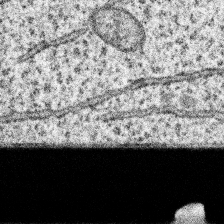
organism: Human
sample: HeLa cells